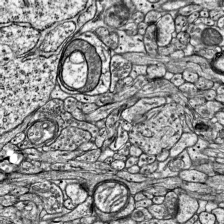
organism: Mouse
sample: Visual Cortex